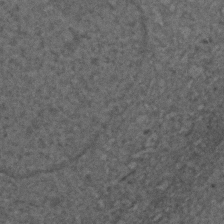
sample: Trachea